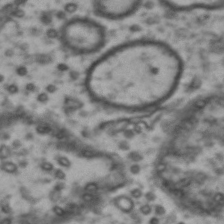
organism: Drosophila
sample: Brain